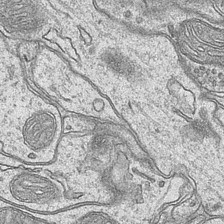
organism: Mouse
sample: CA1 Hippocampus